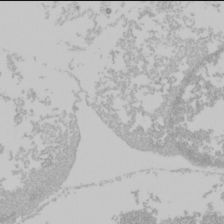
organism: Mouse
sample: Cancer cell death in ED-1 cells